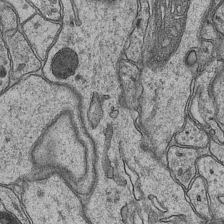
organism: Mouse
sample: CA1 Hippocampus